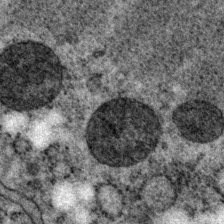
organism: P. pacificus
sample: Pharynx